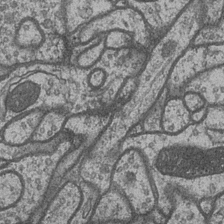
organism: Drosophila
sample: Optic medulla